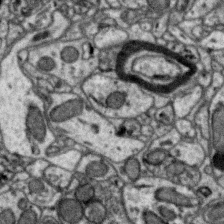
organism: Zebra finch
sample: Brain